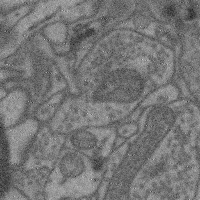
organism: Mouse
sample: Cerebral cortex